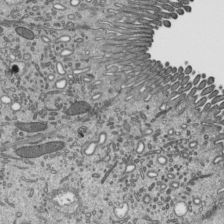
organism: Mouse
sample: Mouse epididymis efferent ductule cilia